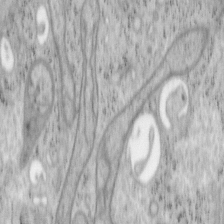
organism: Human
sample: HeLa cells